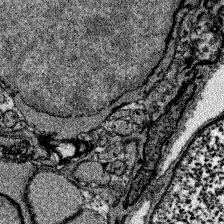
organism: Zebrafish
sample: Larval olfactory bulb